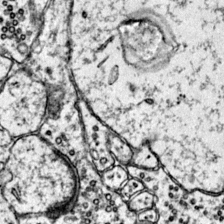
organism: Mouse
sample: Primary visual cortex